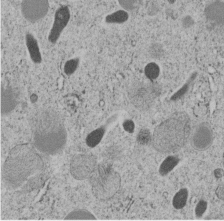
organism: C. elegans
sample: C. elegans embryo early stage